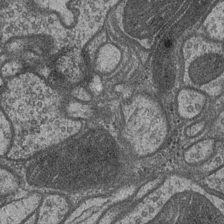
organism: Drosophila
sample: Optic medulla